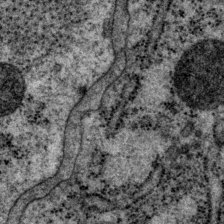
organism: P. pacificus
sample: Pharynx